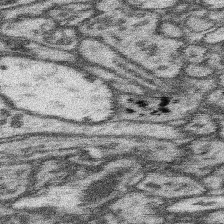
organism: Mouse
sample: Somatosensory cortex neuropil